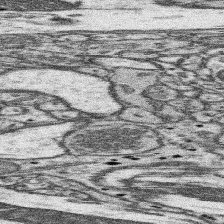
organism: Mouse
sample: Somatosensory cortex neuropil